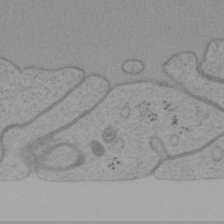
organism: Human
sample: HeLa cells